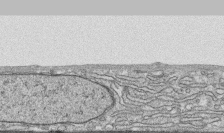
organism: Human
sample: CRL-1474